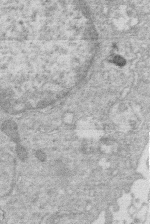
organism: Human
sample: Macrophage cells